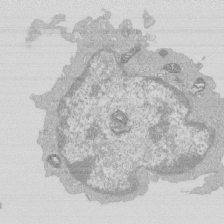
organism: Mouse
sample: Activated Pmel transgenic CD8+ T Cells